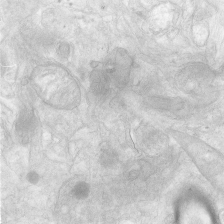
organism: Human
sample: Neocortex